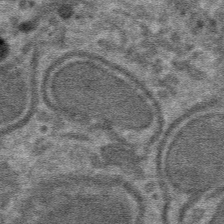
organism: Mouse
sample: Mouse hepatocytes